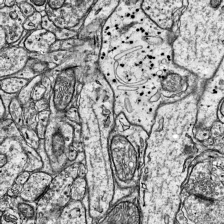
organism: Mouse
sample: Visual Cortex